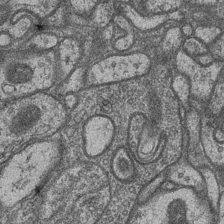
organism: Drosophila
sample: Optic medulla